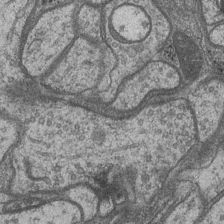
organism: Drosophila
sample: Optic medulla